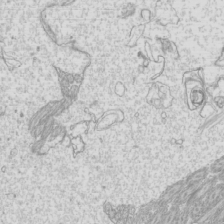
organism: Mouse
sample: Cilia; mouse epididymis